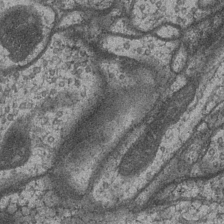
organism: Drosophila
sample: Optic medulla